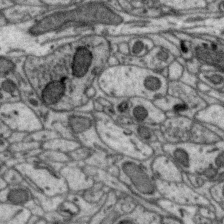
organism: Zebra finch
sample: Brain